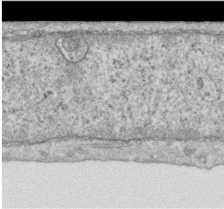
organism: Human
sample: Centriole in RPE cells